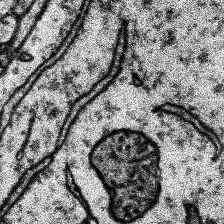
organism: Human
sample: Temporal Lobe